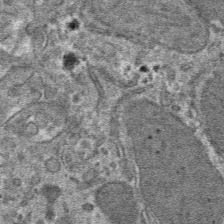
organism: Mouse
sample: Mouse hepatocytes